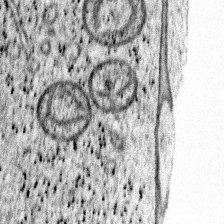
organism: Human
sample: HeLa cells